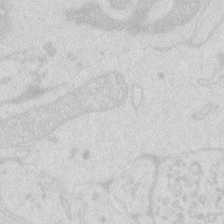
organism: Zebrafish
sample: Macrophage